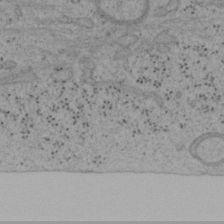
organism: Human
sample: HeLa cells